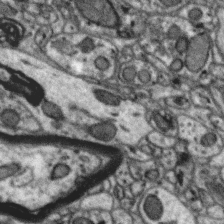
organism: Zebra finch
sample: Brain